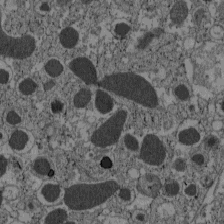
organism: C57BL Mouse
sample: Pancreatic islet